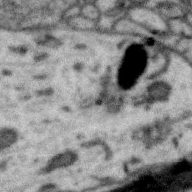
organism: Zebra finch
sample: Brain